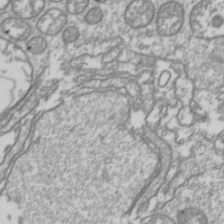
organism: Drosophila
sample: Cell division; meiosis; drosophila spermatocytes